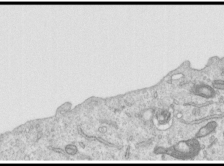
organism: Human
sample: Centriole in RPE cells